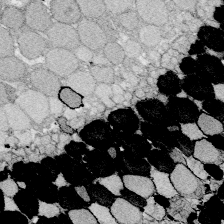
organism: Zebrafish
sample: Whole-Brain